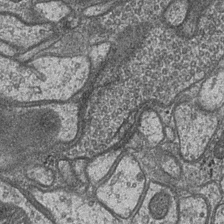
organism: Drosophila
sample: Optic medulla